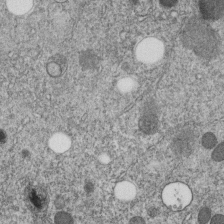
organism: C. elegans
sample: C. elegans embryo early stage